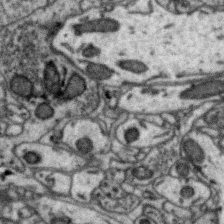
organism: Zebra finch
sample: Brain